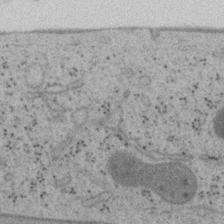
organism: Human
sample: HeLa cells